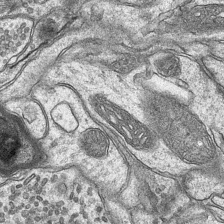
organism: Mouse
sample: CA1 Hippocampus